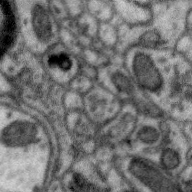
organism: Zebra finch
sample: Brain